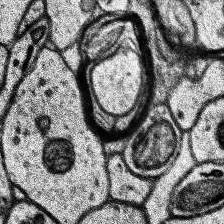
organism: Human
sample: Temporal Lobe